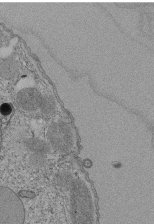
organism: Tetrahymena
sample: Cilia in tetrahymena